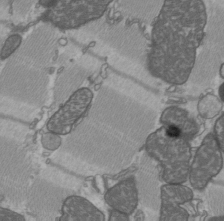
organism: C57BL Mouse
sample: Heart